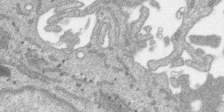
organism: Human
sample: Lung epithelial cells infected with SARS-CoV-2